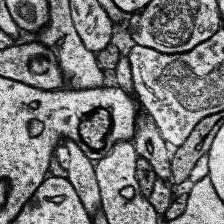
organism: Human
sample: Temporal Lobe